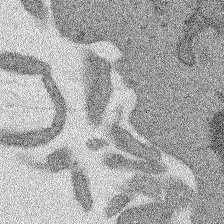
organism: Human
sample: HeLa cells